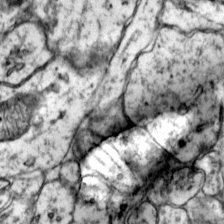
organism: Mouse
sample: Primary visual cortex